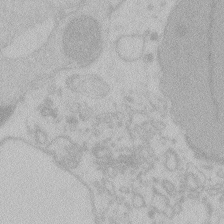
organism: Zebrafish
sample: Macrophage infected with Toxoplasma gondii